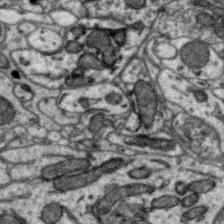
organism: Zebra finch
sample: Brain